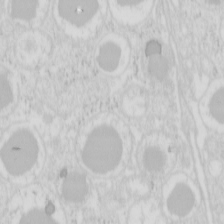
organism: Mouse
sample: Pancreas